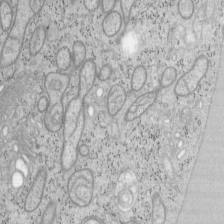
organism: Mouse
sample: OT-I killer T cells with ID8 ovarian cancer cells